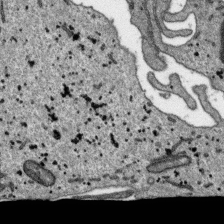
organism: Human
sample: Lung epithelial cells, uninfected (mock) control